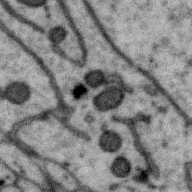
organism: Zebra finch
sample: Brain